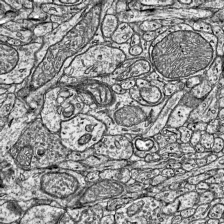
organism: Mouse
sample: Visual Cortex